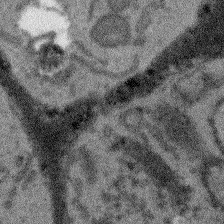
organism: Arabidopsis thaliana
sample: Root tip